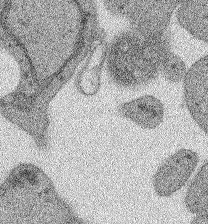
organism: Human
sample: HeLa cells